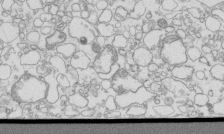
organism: Mouse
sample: Macrophages